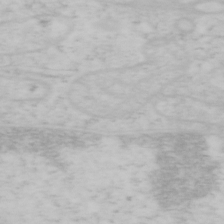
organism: Mouse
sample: OT-I killer T cells with ID8 ovarian cancer cells